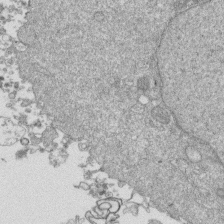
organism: Human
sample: HeLa cell HIV synapse